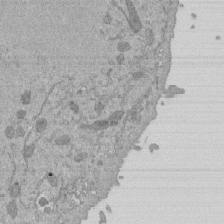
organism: Mouse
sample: ED-1 cell nuclei; centrioles